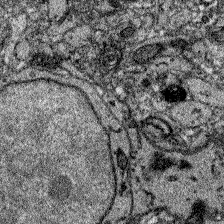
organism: Zebrafish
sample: Larval olfactory bulb